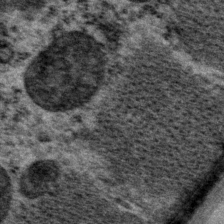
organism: P. pacificus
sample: Pharynx